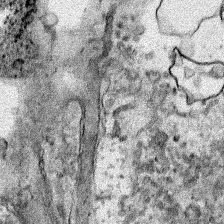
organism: Human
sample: Mitochondria in HCT116 cells